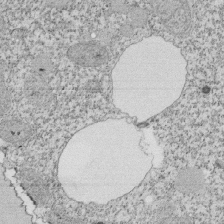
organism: Tetrahymena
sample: Cilia in tetrahymena